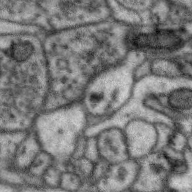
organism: Zebra finch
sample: Brain